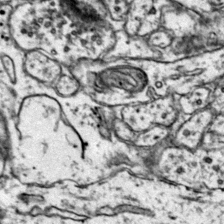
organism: Mouse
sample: Primary visual cortex